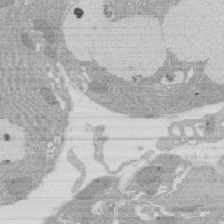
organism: Rat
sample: Salivary granule